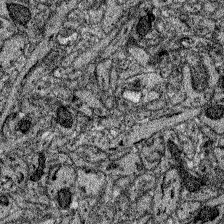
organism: Zebrafish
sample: Larval olfactory bulb